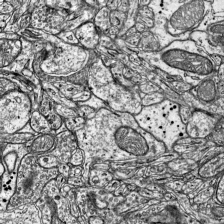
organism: Mouse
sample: Visual Cortex